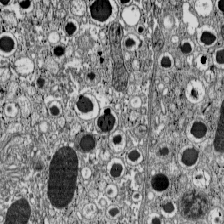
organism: C57BL Mouse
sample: Pancreatic islet